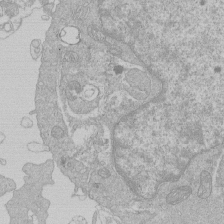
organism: Human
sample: Macrophage cells